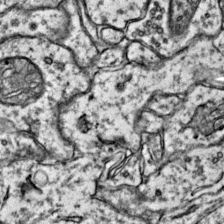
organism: Mouse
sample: Primary visual cortex